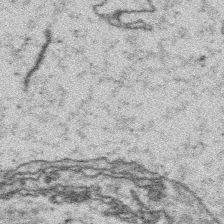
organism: Platynereis dumerilii